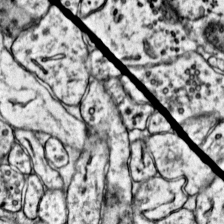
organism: Mouse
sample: Primary visual cortex